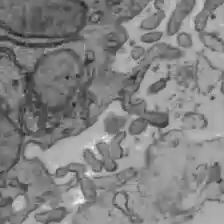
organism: C57BL Mouse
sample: Liver